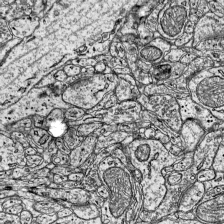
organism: Mouse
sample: Visual Cortex